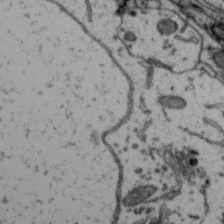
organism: Zebra finch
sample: Brain